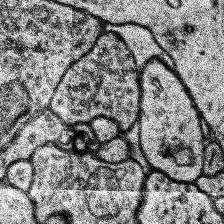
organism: Human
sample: Temporal Lobe